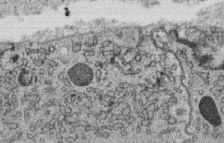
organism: C. elegans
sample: C. elegans oocyte; sperm cells